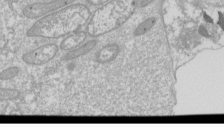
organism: Drosophila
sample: Cell division; meiosis; drosophila spermatocytes